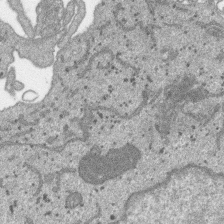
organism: Human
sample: Lung epithelial cells infected with SARS-CoV-2